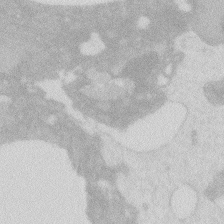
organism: Zebrafish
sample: Macrophage